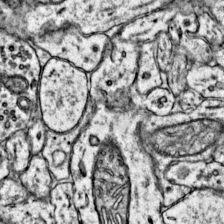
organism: Mouse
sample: Primary visual cortex